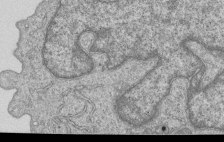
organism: Human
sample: MDA-MB-231 cells